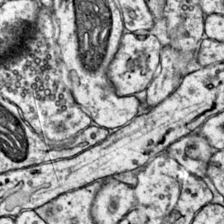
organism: Mouse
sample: Primary visual cortex